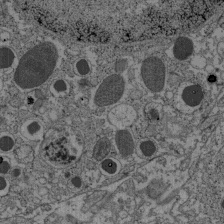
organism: C57BL Mouse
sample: Pancreatic islet